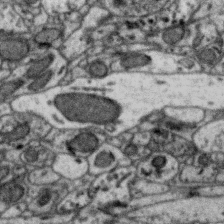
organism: Zebra finch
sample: Brain